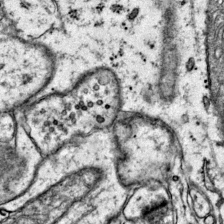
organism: Mouse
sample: Primary visual cortex